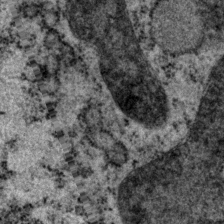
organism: P. pacificus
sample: Pharynx